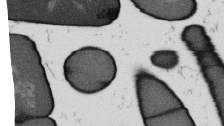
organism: B. subtilis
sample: Bacterial spore